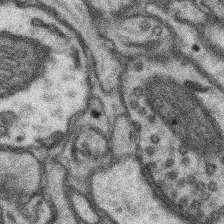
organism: Mouse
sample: Somatosensory cortex neuropil